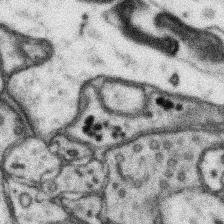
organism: Mouse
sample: Somatosensory cortex neuropil